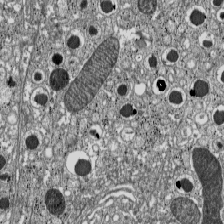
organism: C57BL Mouse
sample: Pancreatic islet